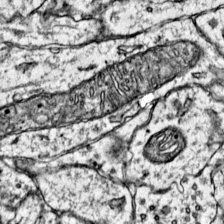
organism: Mouse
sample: Primary visual cortex